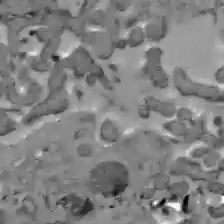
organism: C57BL Mouse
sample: Liver